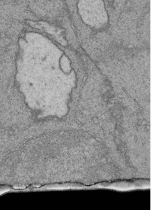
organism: Human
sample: Retinal organoid Rod and Cone cells